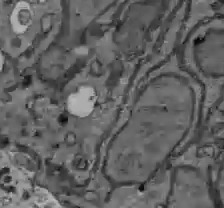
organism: C57BL Mouse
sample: Liver